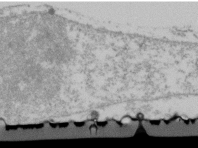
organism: Human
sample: U2-OS cells